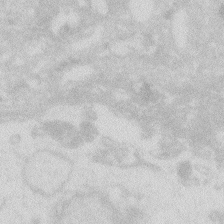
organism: Zebrafish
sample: Macrophage